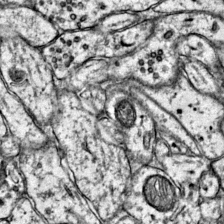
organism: Mouse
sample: Primary visual cortex